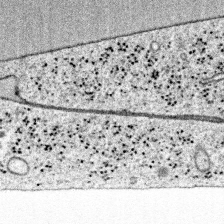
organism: Human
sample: HeLa cells